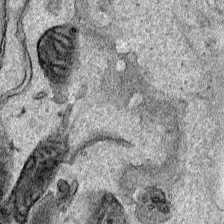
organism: Human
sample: Mitochondria in HCT116 cells